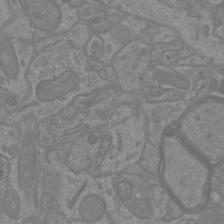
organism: Mouse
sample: Cortical neurons